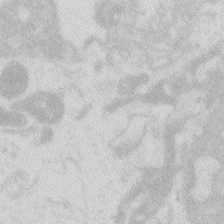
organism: Zebrafish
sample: Macrophage